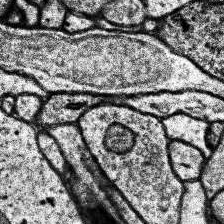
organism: Human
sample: Temporal Lobe